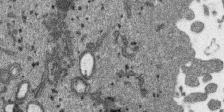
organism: Human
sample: Lung epithelial cells infected with SARS-CoV-2